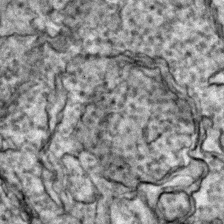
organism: Zebrafish